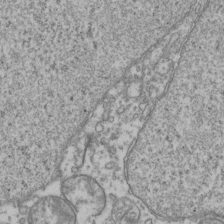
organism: Human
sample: Activated Jurkat CD4+ T cells